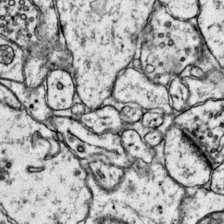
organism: Mouse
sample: Primary visual cortex